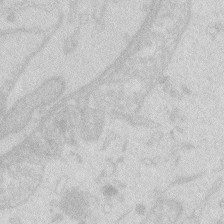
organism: Zebrafish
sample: Macrophage